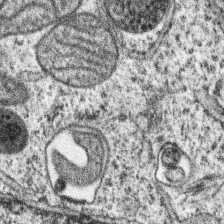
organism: Human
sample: HeLa cells